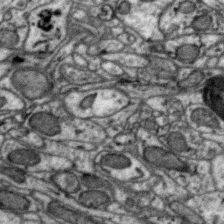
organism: Zebra finch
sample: Brain